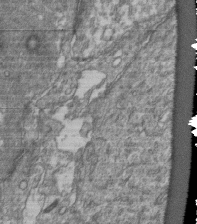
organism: Human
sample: Retinal organoid Rod and Cone cells